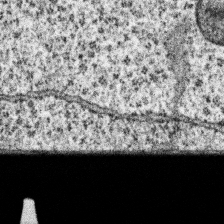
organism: Human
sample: HeLa cells